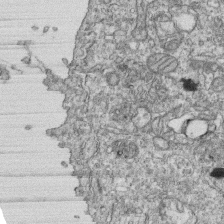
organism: Human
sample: HeLa cell HIV synapse